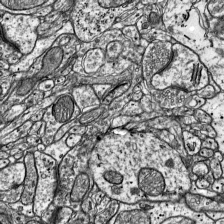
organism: Mouse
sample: Visual Cortex